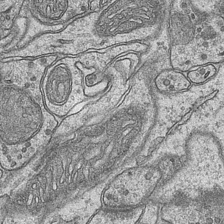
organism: Mouse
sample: CA1 Hippocampus